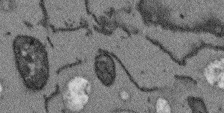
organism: Arabidopsis thaliana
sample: Root tip